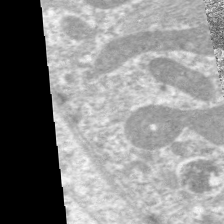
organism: C. elegans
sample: Pharynx